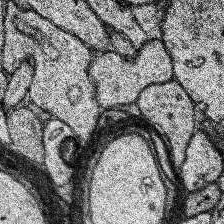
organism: Human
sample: Temporal Lobe